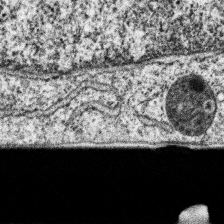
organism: Human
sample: HeLa cells